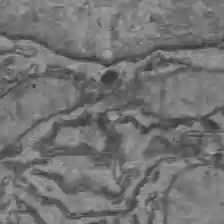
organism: C57BL Mouse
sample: Liver